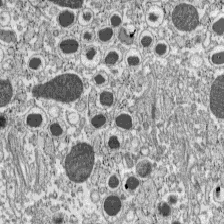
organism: C57BL Mouse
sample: Pancreatic islet